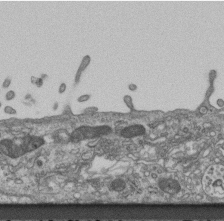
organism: Mouse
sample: Centriole in ependymal cells